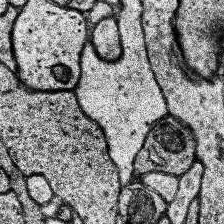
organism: Human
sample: Temporal Lobe